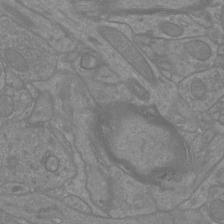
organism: Mouse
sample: Cortical neurons